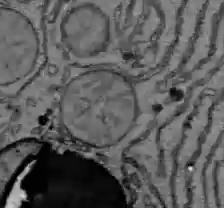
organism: C57BL Mouse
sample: Liver